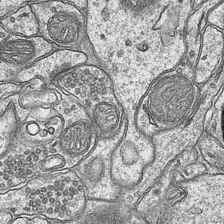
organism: Mouse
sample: CA1 Hippocampus